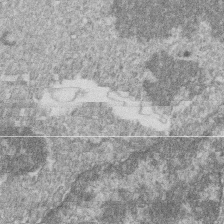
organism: Zebrafish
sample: Cilia; retinal pigment epithelium